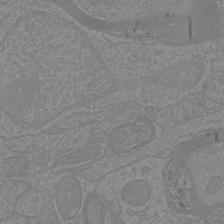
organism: Mouse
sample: Cortical neurons